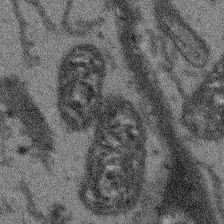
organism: Arabidopsis thaliana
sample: Root tip